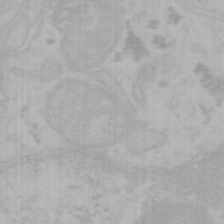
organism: Mouse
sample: Choroid plexus